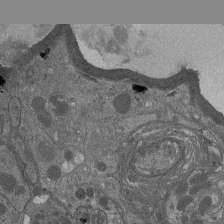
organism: Drosophila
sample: Antenna